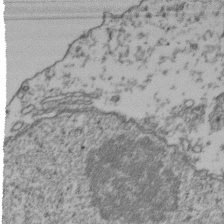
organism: Human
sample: Activated Jurkat CD4+ T cells